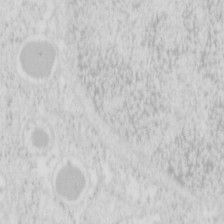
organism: Mouse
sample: Pancreas